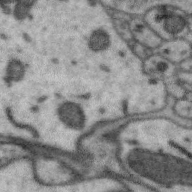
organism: Zebra finch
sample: Brain